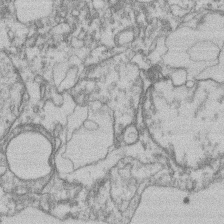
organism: Mouse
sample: T cell stromal cell synapse